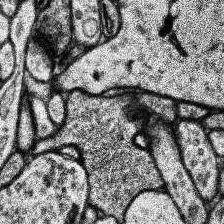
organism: Human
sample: Temporal Lobe